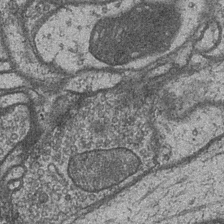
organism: Drosophila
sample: Optic medulla